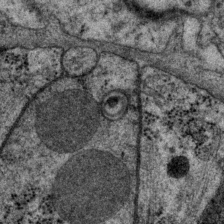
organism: P. pacificus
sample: Pharynx